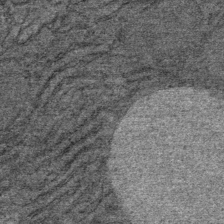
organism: Mouse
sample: Mouse Salivary gland